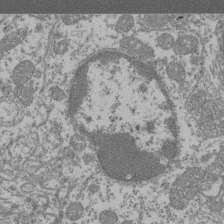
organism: Mouse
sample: Glomerulus